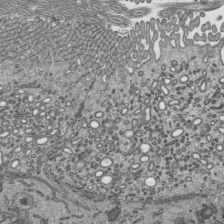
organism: Mouse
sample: Mouse epididymis efferent ductule cilia